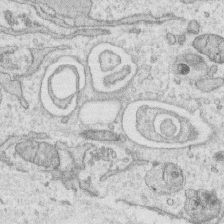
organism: Human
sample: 1205lu cells